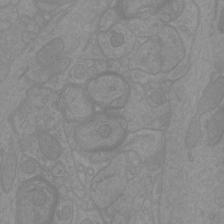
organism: Mouse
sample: Cortical neurons